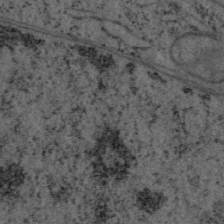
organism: Human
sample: HeLa cells